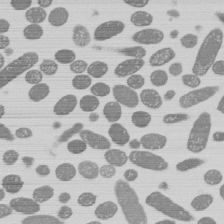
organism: E. coli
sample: Bacterial nucleoid